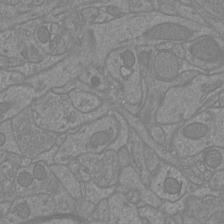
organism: Mouse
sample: Cortical neurons